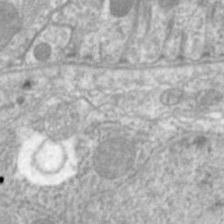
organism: C. elegans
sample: Pharynx